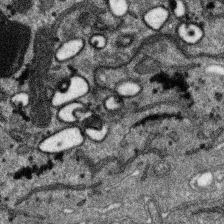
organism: Human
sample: Lung epithelial cells infected with SARS-CoV-2